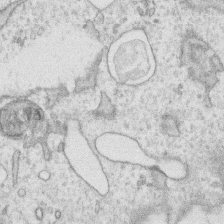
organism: Human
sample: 1205lu cells